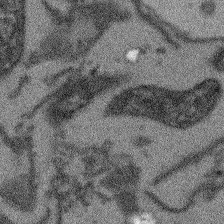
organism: Arabidopsis thaliana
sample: Root tip